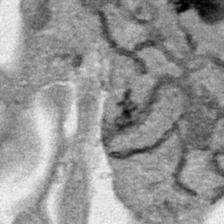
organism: Human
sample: Mitochondria in HCT116 cells